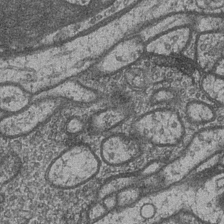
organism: Drosophila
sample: Optic medulla